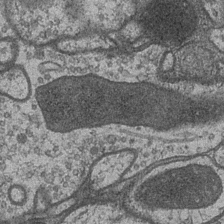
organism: Drosophila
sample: Optic medulla